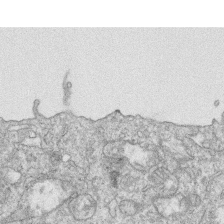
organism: Human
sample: HeLa cell HIV synapse